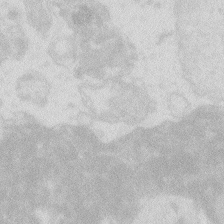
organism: Zebrafish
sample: Macrophage